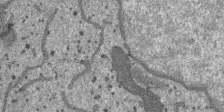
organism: Human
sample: Lung epithelial cells infected with SARS-CoV-2